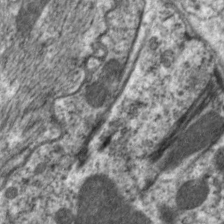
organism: C. elegans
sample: Pharynx